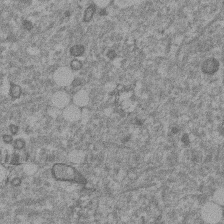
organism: Mouse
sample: Dividing mouse embryo 1 cell stage